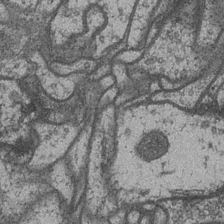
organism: Drosophila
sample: Optic medulla